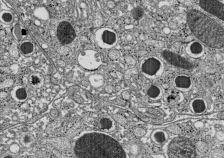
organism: C57BL Mouse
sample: Pancreatic islet